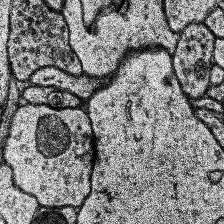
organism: Human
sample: Temporal Lobe